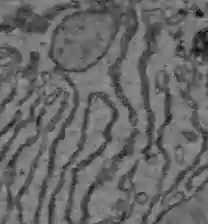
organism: C57BL Mouse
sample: Liver